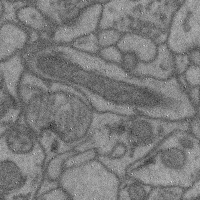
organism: Mouse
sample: Cerebral cortex